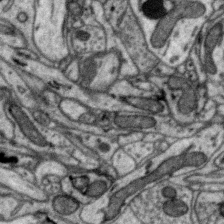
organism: Zebra finch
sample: Brain